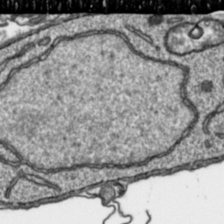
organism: Toxoplasma gondii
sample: Parasites in a vacuole inside a host cell